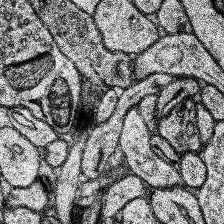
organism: Human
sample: Temporal Lobe